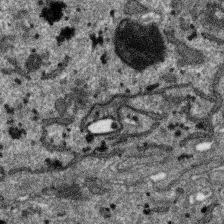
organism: Human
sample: Lung epithelial cells infected with SARS-CoV-2